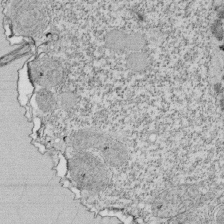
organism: Tetrahymena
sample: Cilia in tetrahymena